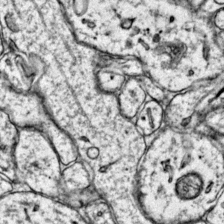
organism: Mouse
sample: Primary visual cortex